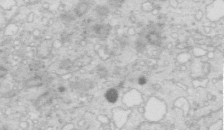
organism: Mouse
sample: Multiciliated cells